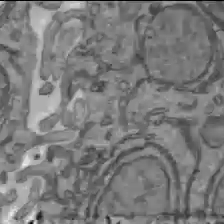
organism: C57BL Mouse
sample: Liver